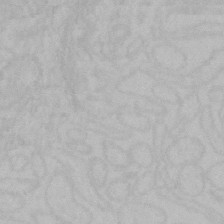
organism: Mouse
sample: Choroid plexus